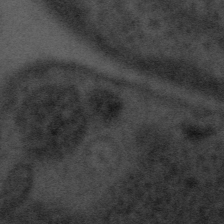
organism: Tuwongella immobilis